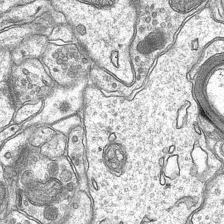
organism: Mouse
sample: CA1 Hippocampus